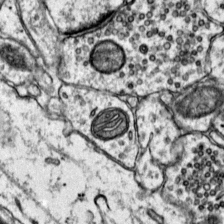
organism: Mouse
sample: Primary visual cortex